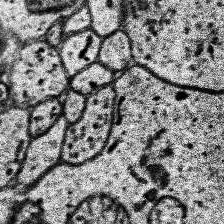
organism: Human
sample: Temporal Lobe